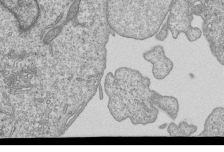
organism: Human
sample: MDA-MB-231 cells